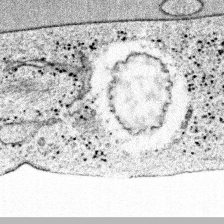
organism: Human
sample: HeLa cells